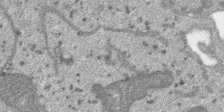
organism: Human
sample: Lung epithelial cells infected with SARS-CoV-2